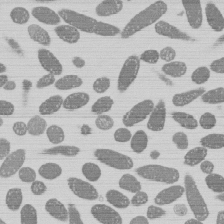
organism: E. coli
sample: Bacterial nucleoid